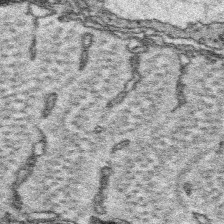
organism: Platynereis dumerilii